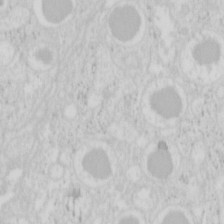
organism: Mouse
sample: Pancreas